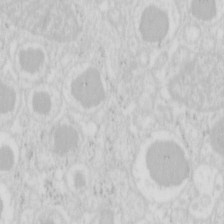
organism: Mouse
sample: Pancreas